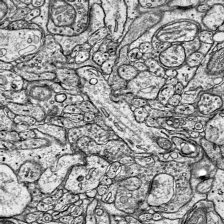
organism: Mouse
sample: Visual Cortex